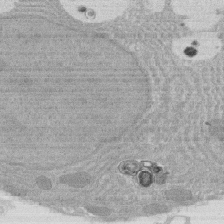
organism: Rat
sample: Salivary granule